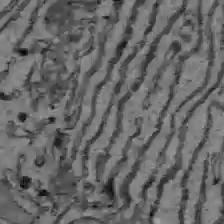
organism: C57BL Mouse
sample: Liver